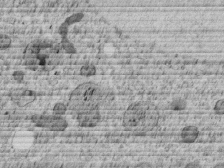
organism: C. elegans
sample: C. elegans embryo early stage